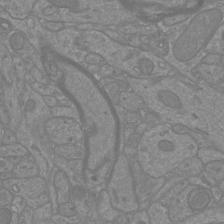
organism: Mouse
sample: Cortical neurons